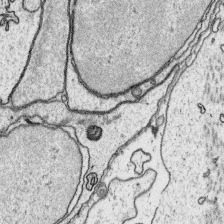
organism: Platynereis dumerilii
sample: Parapodia